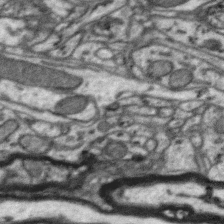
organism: Zebra finch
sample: Brain